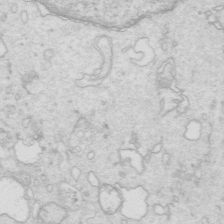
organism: Mouse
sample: Multiciliated cells